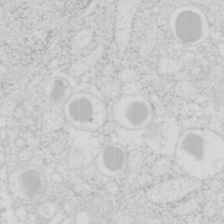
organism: Mouse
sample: Pancreas